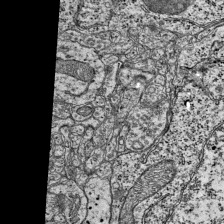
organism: Mouse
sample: Visual Cortex